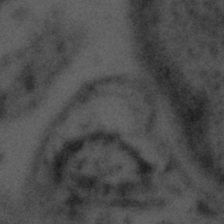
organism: Tuwongella immobilis